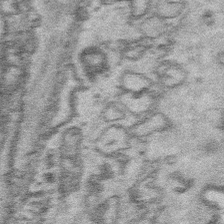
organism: Platynereis dumerilii